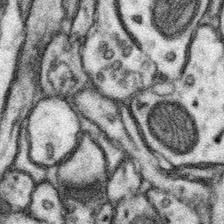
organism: Mouse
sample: Somatosensory cortex neuropil